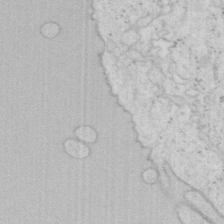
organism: Human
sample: HeLa cells